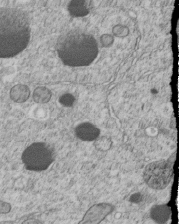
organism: C. elegans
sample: C. elegans embryo early stage